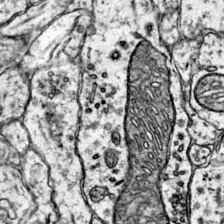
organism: Mouse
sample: Primary visual cortex